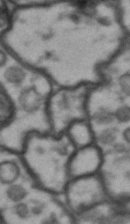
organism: Drosophila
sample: Brain